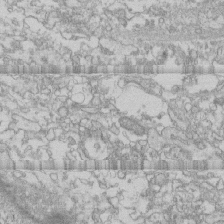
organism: Human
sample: CRL-1474